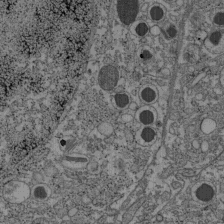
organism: C57BL Mouse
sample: Pancreatic islet